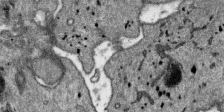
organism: Human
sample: Lung epithelial cells, uninfected (mock) control